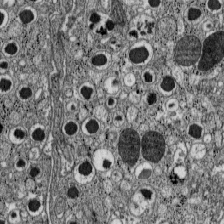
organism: C57BL Mouse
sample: Pancreatic islet